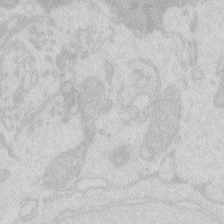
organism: Zebrafish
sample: Macrophage